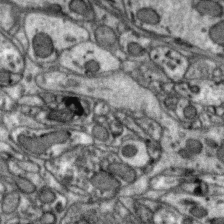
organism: Zebra finch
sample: Brain